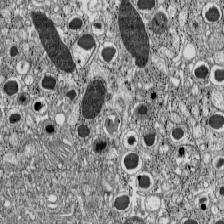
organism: C57BL Mouse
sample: Pancreatic islet